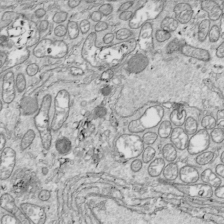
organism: Drosophila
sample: Cell division; meiosis; drosophila spermatocytes